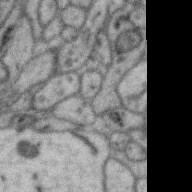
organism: Zebra finch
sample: Brain